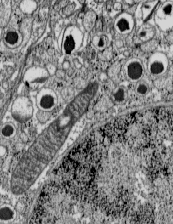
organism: C57BL Mouse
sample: Pancreatic islet